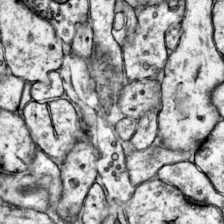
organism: Mouse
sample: Primary visual cortex